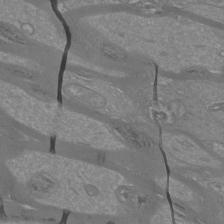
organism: Mouse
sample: Cortical neurons